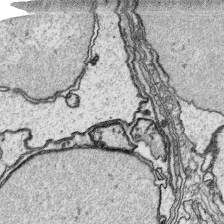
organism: Platynereis dumerilii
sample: Parapodia